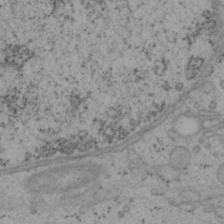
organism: Human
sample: HeLa cells